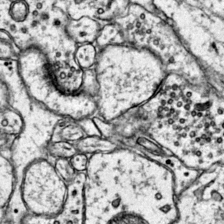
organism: Mouse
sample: Primary visual cortex